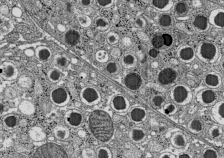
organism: C57BL Mouse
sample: Pancreatic islet